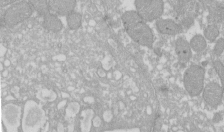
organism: Xenopus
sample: Cilia; centrioles in frog embryo cells